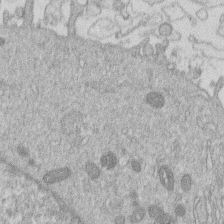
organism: Human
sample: Macrophage cells